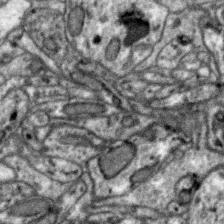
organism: Zebra finch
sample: Brain